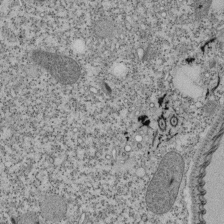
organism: Tetrahymena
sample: Cilia in tetrahymena